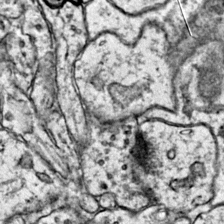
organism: Mouse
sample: Primary visual cortex